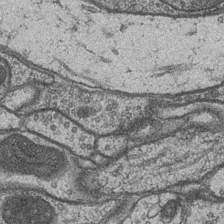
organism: Drosophila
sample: Optic medulla